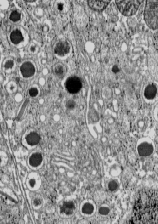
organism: C57BL Mouse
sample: Pancreatic islet